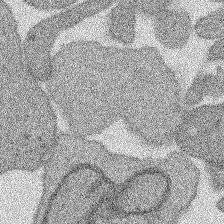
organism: Human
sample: HeLa cells